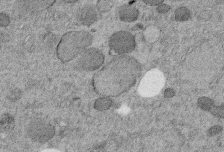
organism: C. elegans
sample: C. elegans embryo early stage